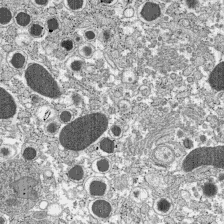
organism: C57BL Mouse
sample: Pancreatic islet